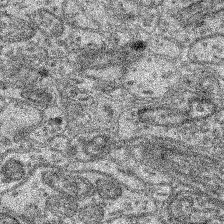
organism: Mouse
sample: Retina